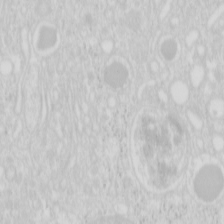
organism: Mouse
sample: Pancreas